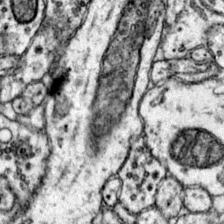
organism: Mouse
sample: Primary visual cortex